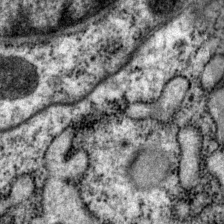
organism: P. pacificus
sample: Pharynx